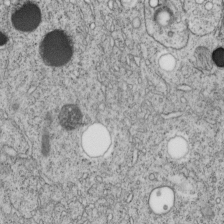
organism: C. elegans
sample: C. elegans embryo early stage